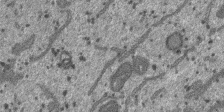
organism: Human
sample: Lung epithelial cells infected with SARS-CoV-2